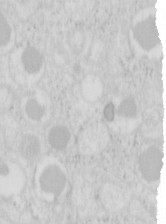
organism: Mouse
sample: Pancreas